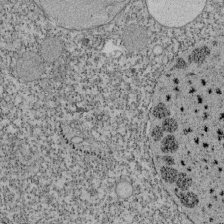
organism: Tetrahymena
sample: Cilia in tetrahymena